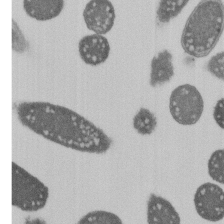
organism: E. coli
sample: Bacterial nucleoid